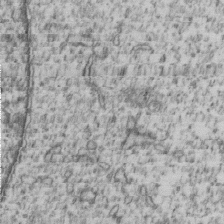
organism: Human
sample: MDA-MB-231 cells